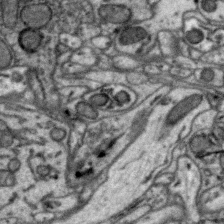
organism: Zebra finch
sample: Brain